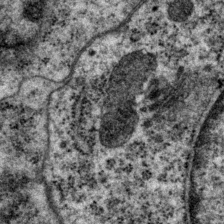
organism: P. pacificus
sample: Pharynx